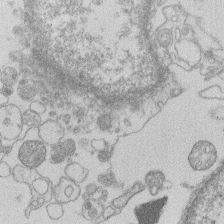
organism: Human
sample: Macrophage cells